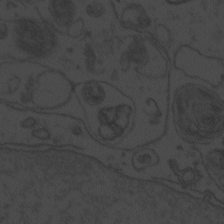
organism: Zebrafish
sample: Macrophage infected with Toxoplasma gondii